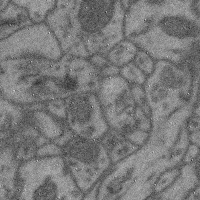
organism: Mouse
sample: Cerebral cortex